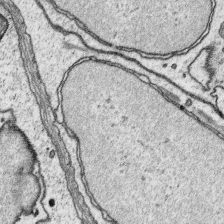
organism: Platynereis dumerilii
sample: Parapodia